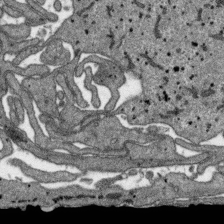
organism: Human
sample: Lung epithelial cells, uninfected (mock) control